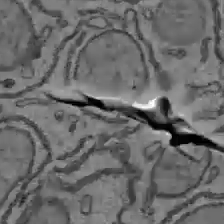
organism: C57BL Mouse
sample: Liver